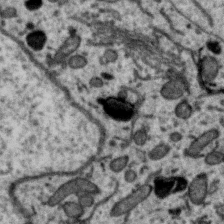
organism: Zebra finch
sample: Brain